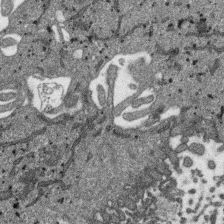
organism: Human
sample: Lung epithelial cells infected with SARS-CoV-2